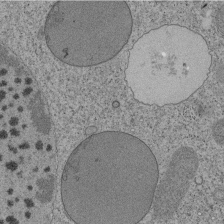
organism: Tetrahymena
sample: Cilia in tetrahymena